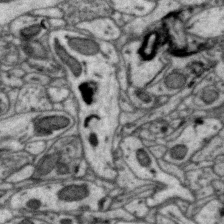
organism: Zebra finch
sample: Brain